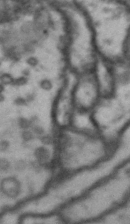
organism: Drosophila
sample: Brain